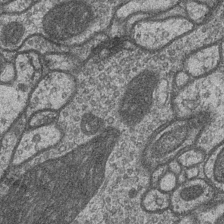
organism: Drosophila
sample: Optic medulla